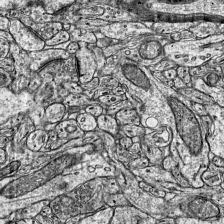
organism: Mouse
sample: Visual Cortex